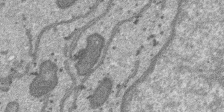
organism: Human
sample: Lung epithelial cells infected with SARS-CoV-2